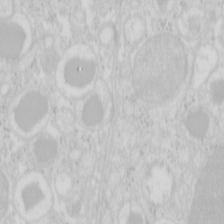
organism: Mouse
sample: Pancreas